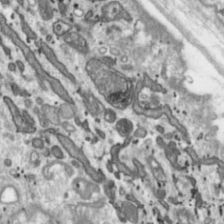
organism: Toxoplasma gondii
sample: Parasites in a vacuole inside a host cell